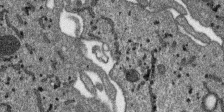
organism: Human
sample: Lung epithelial cells infected with SARS-CoV-2